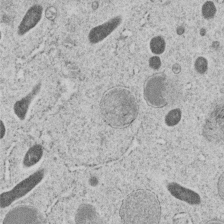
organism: C. elegans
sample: C. elegans embryo early stage